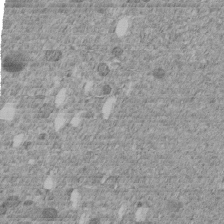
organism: C. elegans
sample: C. elegans embryo early stage